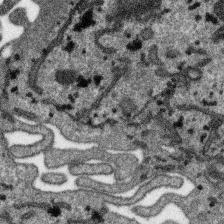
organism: Human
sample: Lung epithelial cells infected with SARS-CoV-2